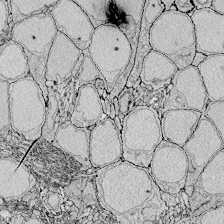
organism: Zebrafish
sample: Whole-Brain